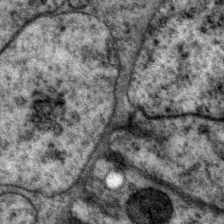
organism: P. pacificus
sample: Pharynx